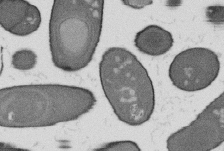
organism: B. subtilis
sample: Bacterial spore